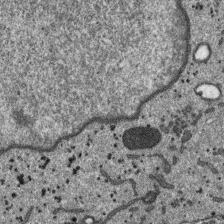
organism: Human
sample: Lung epithelial cells infected with SARS-CoV-2